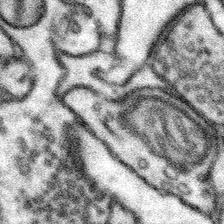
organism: Mouse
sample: Somatosensory cortex neuropil